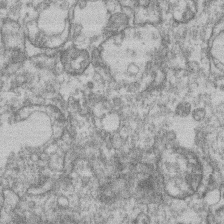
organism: Mouse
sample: T cell stromal cell synapse